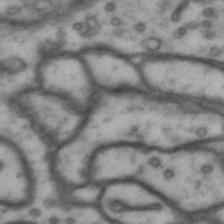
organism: Drosophila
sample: Brain